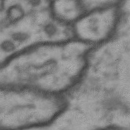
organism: Drosophila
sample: Brain